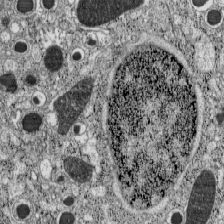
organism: C57BL Mouse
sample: Pancreatic islet